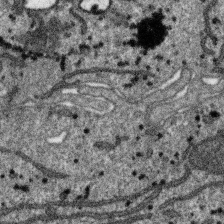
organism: Human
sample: Lung epithelial cells infected with SARS-CoV-2